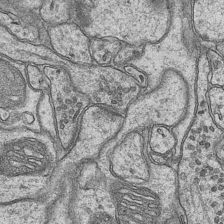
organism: Mouse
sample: CA1 Hippocampus